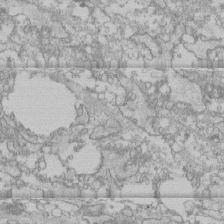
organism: Human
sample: CRL-1474